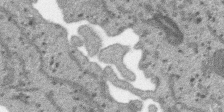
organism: Human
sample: Lung epithelial cells infected with SARS-CoV-2